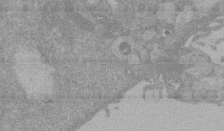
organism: Mouse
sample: ED-1 cell nuclei; centrioles